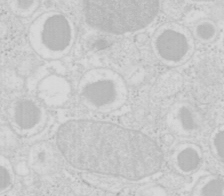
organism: Mouse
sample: Pancreas